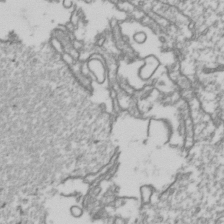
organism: Drosophila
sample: Cell division; meiosis; drosophila spermatocytes